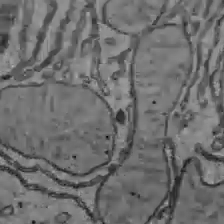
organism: C57BL Mouse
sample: Liver